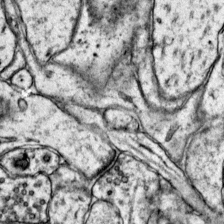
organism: Mouse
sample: Primary visual cortex